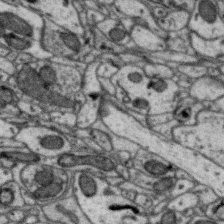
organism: Zebra finch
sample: Brain